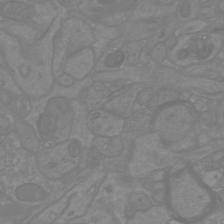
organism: Mouse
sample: Cortical neurons